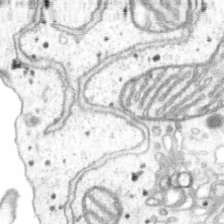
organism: Human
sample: HeLa cells